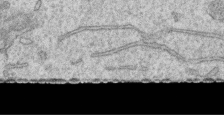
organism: Human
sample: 1205lu cells